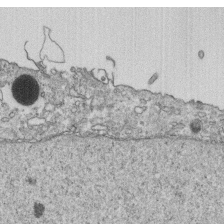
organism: Human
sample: HeLa cell HIV synapse